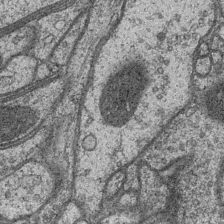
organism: Drosophila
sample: Optic medulla